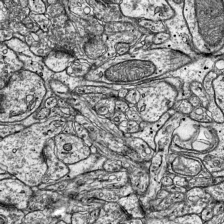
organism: Mouse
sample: Visual Cortex